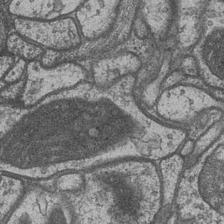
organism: Drosophila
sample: Optic medulla